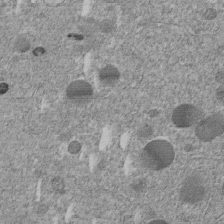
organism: C. elegans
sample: C. elegans embryo early stage